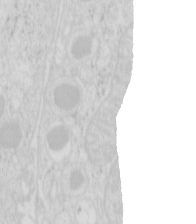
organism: Mouse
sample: Pancreas